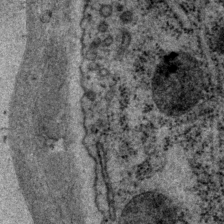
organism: P. pacificus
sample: Pharynx